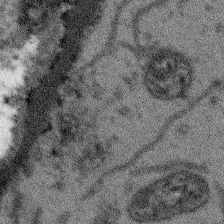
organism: Arabidopsis thaliana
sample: Root tip